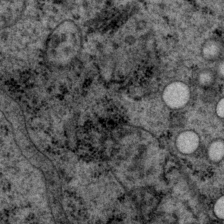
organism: P. pacificus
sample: Pharynx